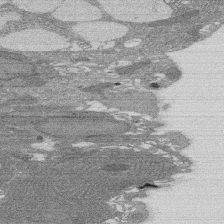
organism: Rat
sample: Salivary granule